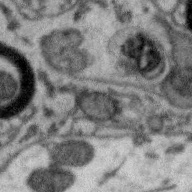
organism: Zebra finch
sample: Brain